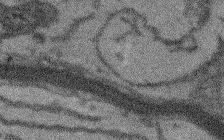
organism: Arabidopsis thaliana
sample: Root tip